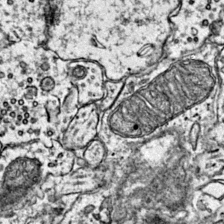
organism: Mouse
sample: Primary visual cortex